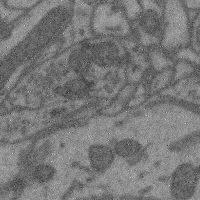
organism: Mouse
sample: Cerebral cortex